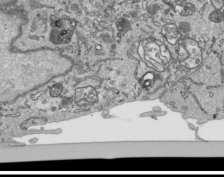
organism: Human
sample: Mitochondria in HCT116 cells